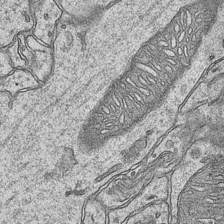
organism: Mouse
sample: CA1 Hippocampus